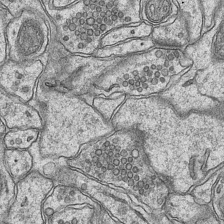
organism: Mouse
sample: CA1 Hippocampus